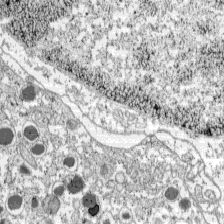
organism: C57BL Mouse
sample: Pancreatic islet